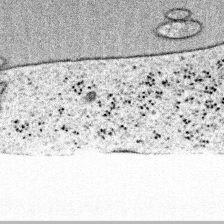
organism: Human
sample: HeLa cells